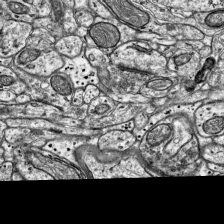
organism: Mouse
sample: Visual Cortex